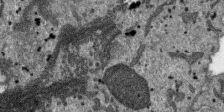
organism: Human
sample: Lung epithelial cells, uninfected (mock) control